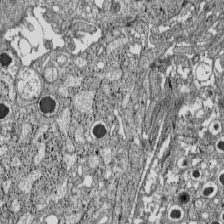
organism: C57BL Mouse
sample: Pancreatic islet